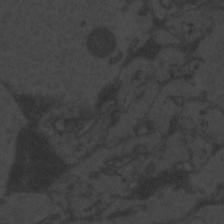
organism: Zebrafish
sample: Macrophage infected with Toxoplasma gondii